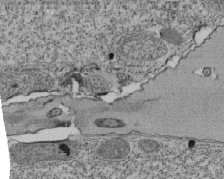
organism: Tetrahymena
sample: Cilia in tetrahymena